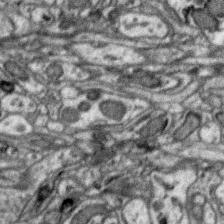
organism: Zebra finch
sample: Brain